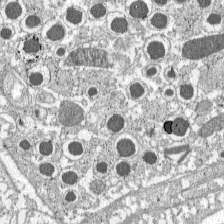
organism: C57BL Mouse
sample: Pancreatic islet